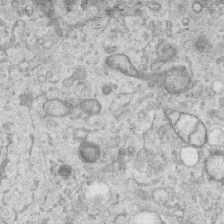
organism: Human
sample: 1205lu cells